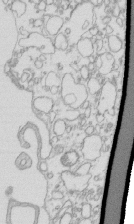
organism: Mouse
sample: Macrophages